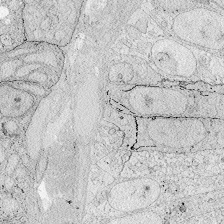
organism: Zebrafish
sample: Whole-Brain